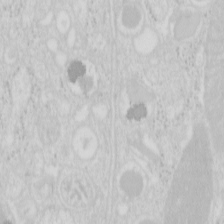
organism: Mouse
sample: Pancreas